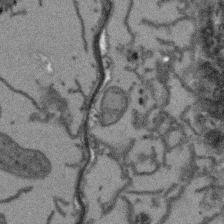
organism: Arabidopsis thaliana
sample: Root tip